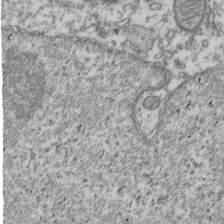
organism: Human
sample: Activated Jurkat CD4+ T cells